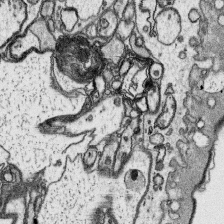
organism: Platynereis dumerilii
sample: Parapodia